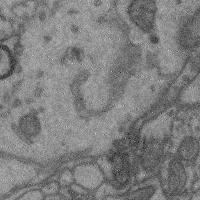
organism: Mouse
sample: Cerebral cortex